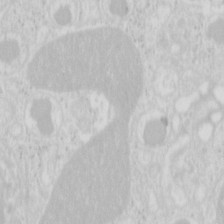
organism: Mouse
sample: Pancreas